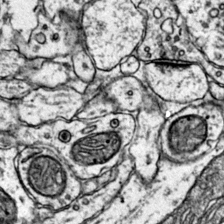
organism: Mouse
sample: Primary visual cortex